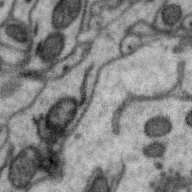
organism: Zebra finch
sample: Brain